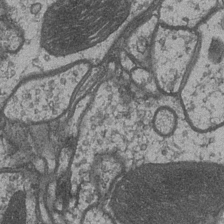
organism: Drosophila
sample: Optic medulla